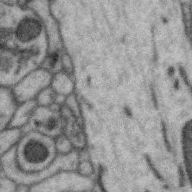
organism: Zebra finch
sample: Brain